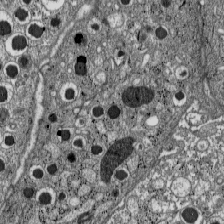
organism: C57BL Mouse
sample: Pancreatic islet